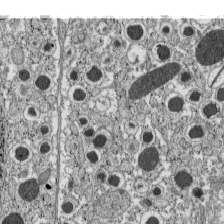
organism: C57BL Mouse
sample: Pancreatic islet